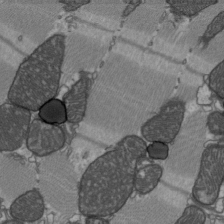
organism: C57BL Mouse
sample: Heart